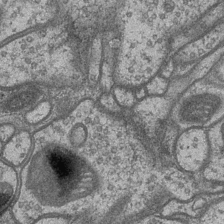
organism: Drosophila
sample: Optic medulla